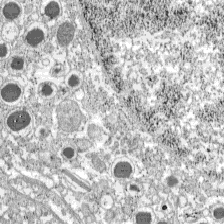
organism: C57BL Mouse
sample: Pancreatic islet